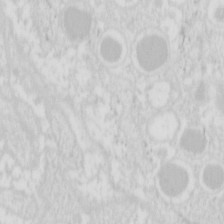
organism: Mouse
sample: Pancreas